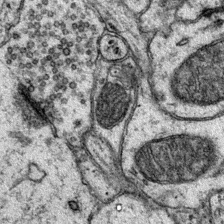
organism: Mouse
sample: Primary visual cortex